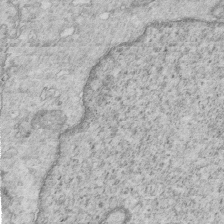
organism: Mouse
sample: Multiciliated cells